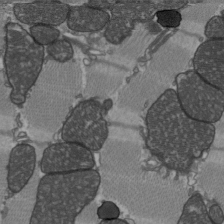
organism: C57BL Mouse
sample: Heart